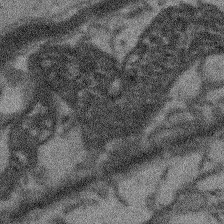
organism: Arabidopsis thaliana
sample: Root tip